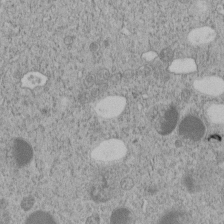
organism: C. elegans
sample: C. elegans embryo early stage